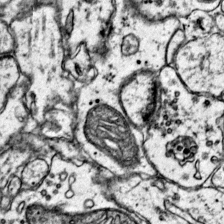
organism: Mouse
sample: Primary visual cortex